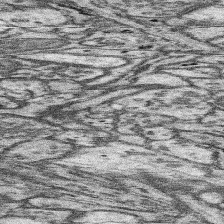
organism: Mouse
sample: Somatosensory cortex neuropil